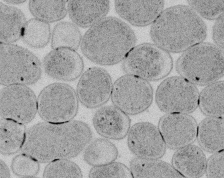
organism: E. coli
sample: Bacterial nucleoid